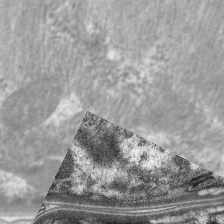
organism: C. elegans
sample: Pharynx